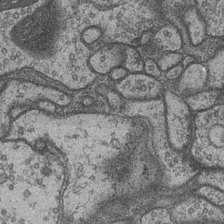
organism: Drosophila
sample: Optic medulla